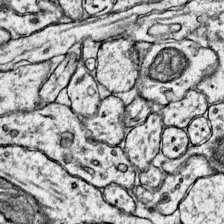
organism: Mouse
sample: Primary visual cortex